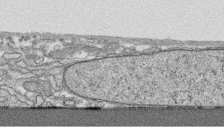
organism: Human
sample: CRL-1474